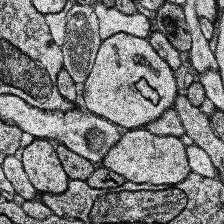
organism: Human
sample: Temporal Lobe